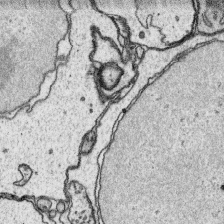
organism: Platynereis dumerilii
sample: Parapodia